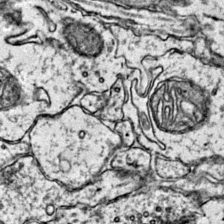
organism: Mouse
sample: Primary visual cortex